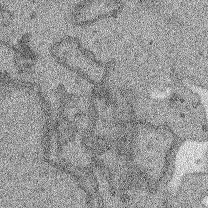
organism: Human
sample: HeLa cells